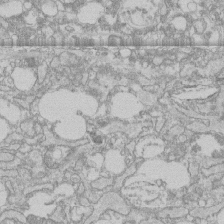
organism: Human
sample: CRL-1474